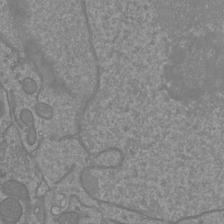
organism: Mouse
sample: Cortical neurons